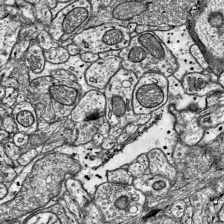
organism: Mouse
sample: Visual Cortex